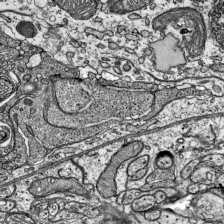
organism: Mouse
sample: Visual Cortex